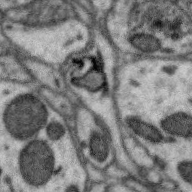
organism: Zebra finch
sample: Brain